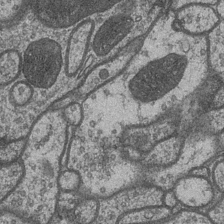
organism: Drosophila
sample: Optic medulla